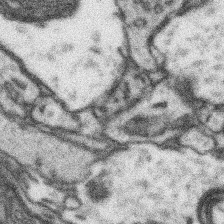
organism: Mouse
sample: Somatosensory cortex neuropil